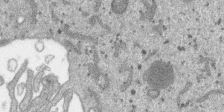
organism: Human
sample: Lung epithelial cells infected with SARS-CoV-2